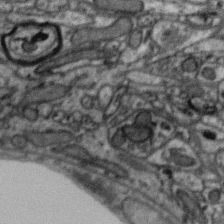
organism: Zebra finch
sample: Brain